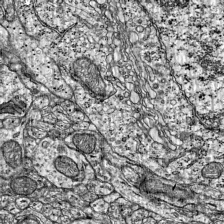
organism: Mouse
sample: Visual Cortex